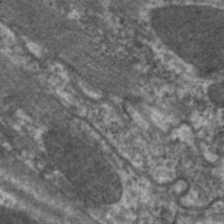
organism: C. elegans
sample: Pharynx